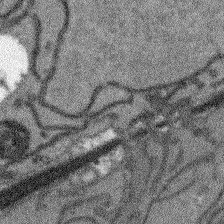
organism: Arabidopsis thaliana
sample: Root tip